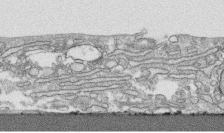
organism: Human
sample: CRL-1474